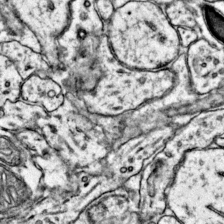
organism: Mouse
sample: Primary visual cortex